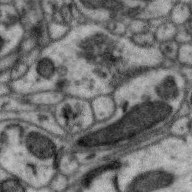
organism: Zebra finch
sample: Brain